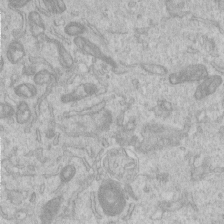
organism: Human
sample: Centriole in RPE cells